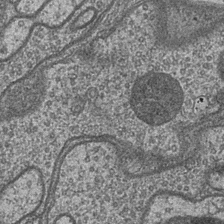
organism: Drosophila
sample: Optic medulla